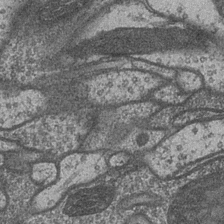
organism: Drosophila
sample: Optic medulla